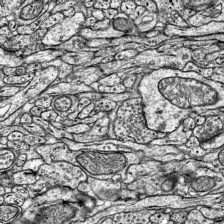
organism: Mouse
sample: Visual Cortex